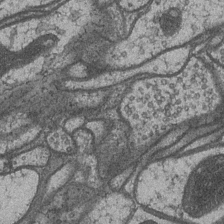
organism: Drosophila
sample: Optic medulla